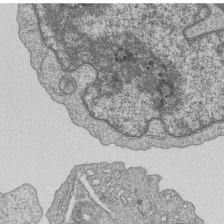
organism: Human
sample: MDA-MB-231 cells